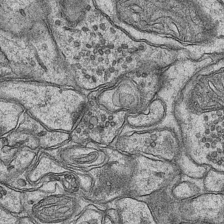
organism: Mouse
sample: CA1 Hippocampus